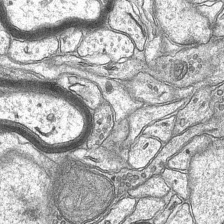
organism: Mouse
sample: CA1 Hippocampus